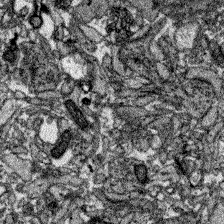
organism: Zebrafish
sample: Larval olfactory bulb